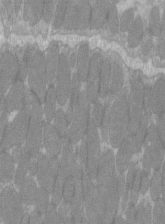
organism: C57BL Mouse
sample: Tibialis anterior muscle cell